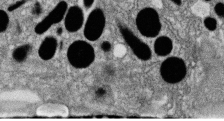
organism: Zebrafish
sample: Cilia; retinal pigment epithelium